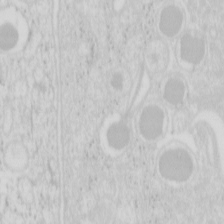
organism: Mouse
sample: Pancreas